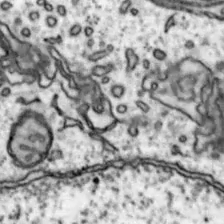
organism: Mouse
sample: Nucleus accumbens